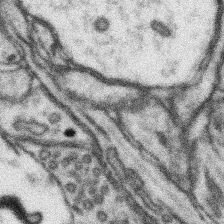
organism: Mouse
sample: Somatosensory cortex neuropil